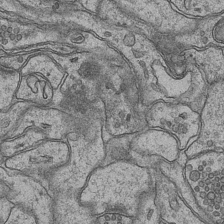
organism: Mouse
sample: CA1 Hippocampus